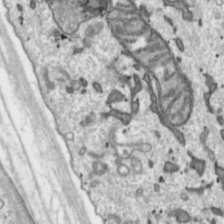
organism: Toxoplasma gondii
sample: Parasites in a vacuole inside a host cell